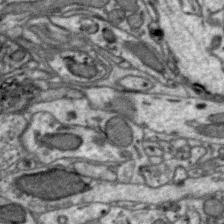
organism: Zebra finch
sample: Brain